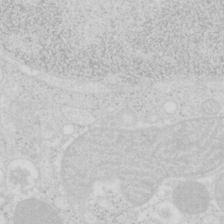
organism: Mouse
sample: Pancreas